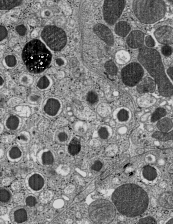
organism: C57BL Mouse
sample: Pancreatic islet